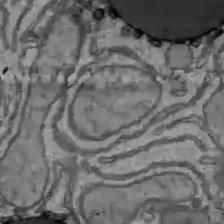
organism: C57BL Mouse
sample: Liver